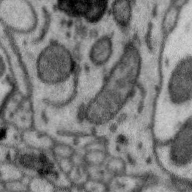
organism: Zebra finch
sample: Brain